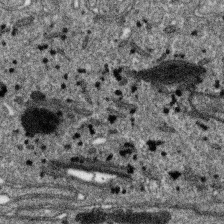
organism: Human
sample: Lung epithelial cells infected with SARS-CoV-2